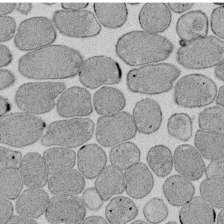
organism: E. coli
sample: Bacterial nucleoid